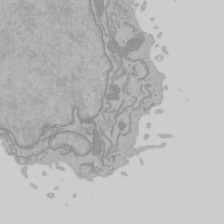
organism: Mouse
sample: Cancer cell death in ED-1 cells